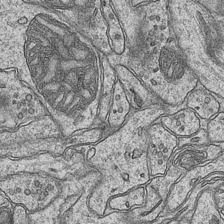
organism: Mouse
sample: CA1 Hippocampus